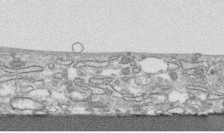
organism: Human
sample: CRL-1474